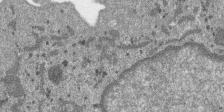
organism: Human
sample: Lung epithelial cells infected with SARS-CoV-2